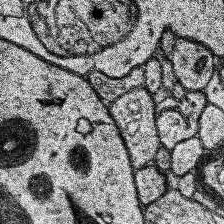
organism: Human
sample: Temporal Lobe